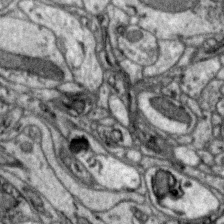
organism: Zebra finch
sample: Brain